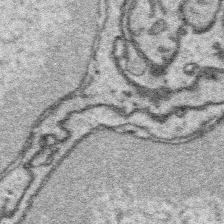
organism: Platynereis dumerilii